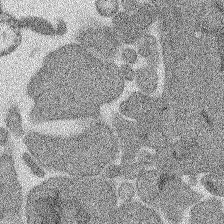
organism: Human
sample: HeLa cells